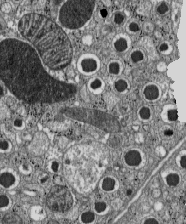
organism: C57BL Mouse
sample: Pancreatic islet